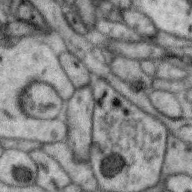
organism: Zebra finch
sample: Brain